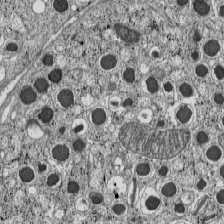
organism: C57BL Mouse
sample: Pancreatic islet